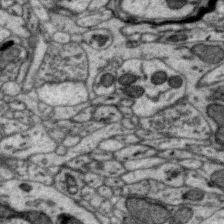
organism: Zebra finch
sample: Brain